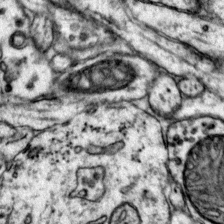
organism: Mouse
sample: Primary visual cortex